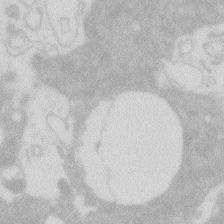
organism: Zebrafish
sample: Macrophage